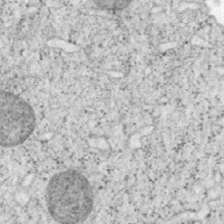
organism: Mouse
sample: OT-I killer T cells with ID8 ovarian cancer cells